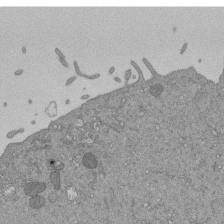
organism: Mouse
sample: ED-1 cell nuclei; centrioles